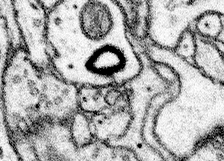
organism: Mouse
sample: Somatosensory cortex neuropil